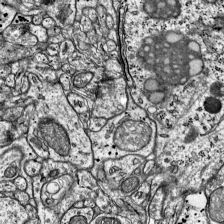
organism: Mouse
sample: Visual Cortex